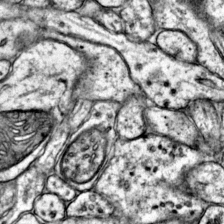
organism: Mouse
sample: Primary visual cortex